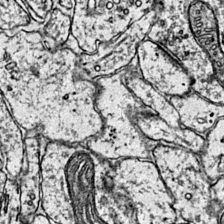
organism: Mouse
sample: Primary visual cortex